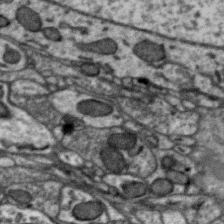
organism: Zebra finch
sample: Brain